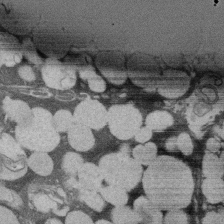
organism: Rat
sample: Salivary granule